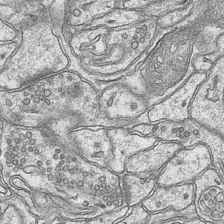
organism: Mouse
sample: CA1 Hippocampus